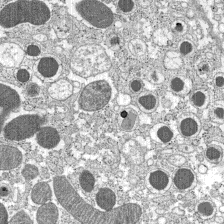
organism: C57BL Mouse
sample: Pancreatic islet